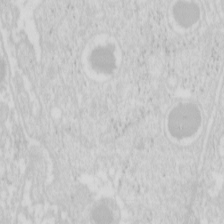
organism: Mouse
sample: Pancreas